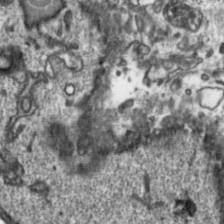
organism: Toxoplasma gondii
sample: Parasites in a vacuole inside a host cell